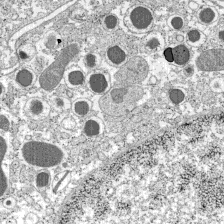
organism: C57BL Mouse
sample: Pancreatic islet